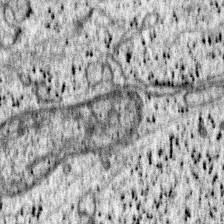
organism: Human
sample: HeLa cells